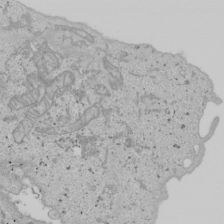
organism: Human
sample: Mitochondria in U2OS cells